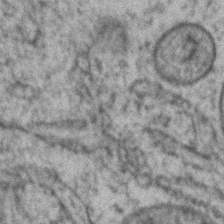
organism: Zebrafish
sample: Zebrafish embryo